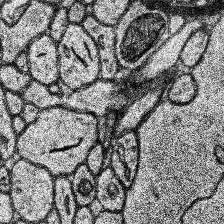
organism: Human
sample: Temporal Lobe